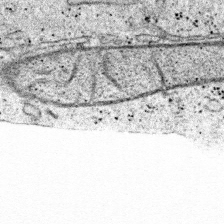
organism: Human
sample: HeLa cells